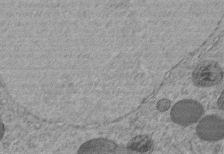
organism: C. elegans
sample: C. elegans embryo early stage